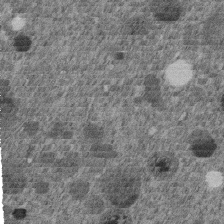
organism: C. elegans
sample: C. elegans embryo early stage